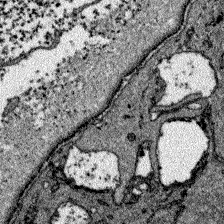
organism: Zebrafish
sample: Larval olfactory bulb